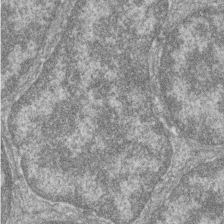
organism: Zebrafish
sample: Cilia; retinal pigment epithelium